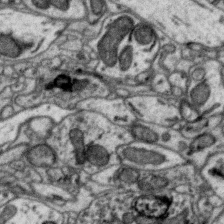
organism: Zebra finch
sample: Brain